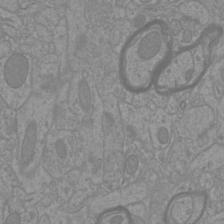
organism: Mouse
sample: Cortical neurons